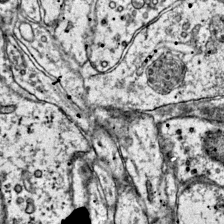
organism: Mouse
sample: Primary visual cortex